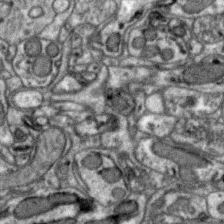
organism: Zebra finch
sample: Brain